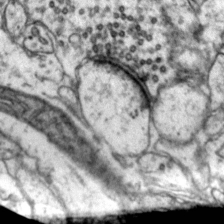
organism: Mouse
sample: Primary visual cortex